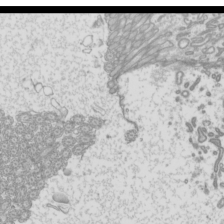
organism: Mouse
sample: Cilia; mouse epididymis